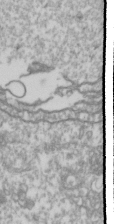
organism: Drosophila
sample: Cell division; meiosis; drosophila spermatocytes